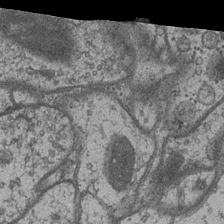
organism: Drosophila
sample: Optic medulla